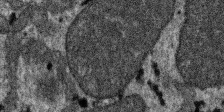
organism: Human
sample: Lung epithelial cells infected with SARS-CoV-2